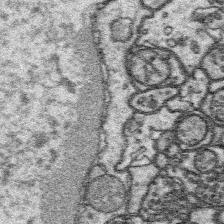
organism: Platynereis dumerilii